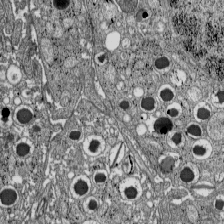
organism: C57BL Mouse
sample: Pancreatic islet